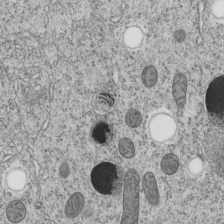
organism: C. elegans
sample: C. elegans embryo early stage